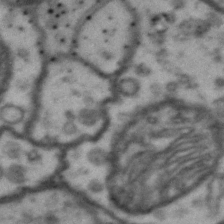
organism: Drosophila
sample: Brain